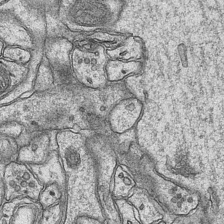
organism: Mouse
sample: CA1 Hippocampus